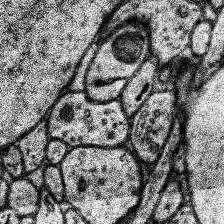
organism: Human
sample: Temporal Lobe